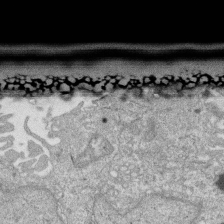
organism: Human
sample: HeLa cell HIV synapse